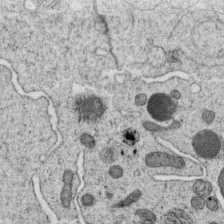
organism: C. elegans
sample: C. elegans oocyte; sperm cells